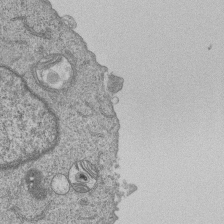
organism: Human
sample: MDA-MB-231 cells